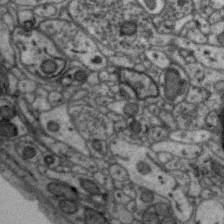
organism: Zebra finch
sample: Brain